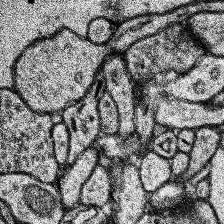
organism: Human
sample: Temporal Lobe